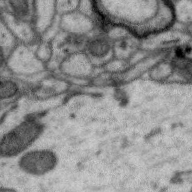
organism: Zebra finch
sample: Brain